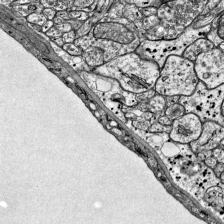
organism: Mouse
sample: Visual Cortex